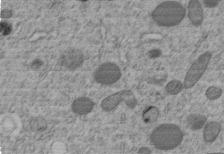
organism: C. elegans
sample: C. elegans embryo early stage